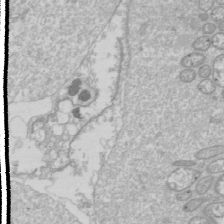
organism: Drosophila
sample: Cell division; meiosis; drosophila spermatocytes